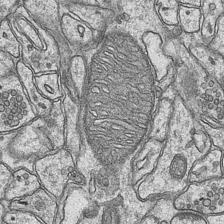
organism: Mouse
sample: CA1 Hippocampus